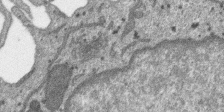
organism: Human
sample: Lung epithelial cells infected with SARS-CoV-2